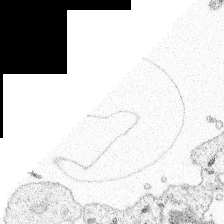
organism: Spongilla lacustris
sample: Multiple